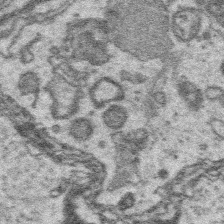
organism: Platynereis dumerilii